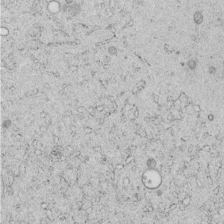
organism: C. elegans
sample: C. elegans embryo early stage